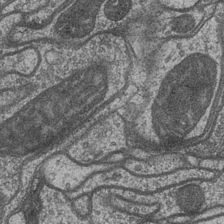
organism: Drosophila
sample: Optic medulla